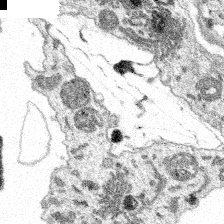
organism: Spongilla lacustris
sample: Multiple